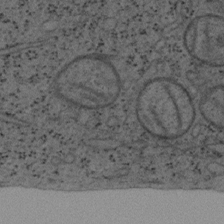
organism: Human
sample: HeLa cells